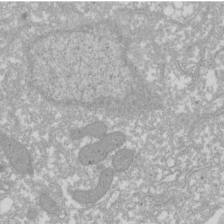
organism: Xenopus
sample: Cilia; centrioles in frog embryo cells